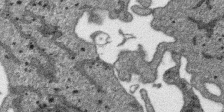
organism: Human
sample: Lung epithelial cells infected with SARS-CoV-2